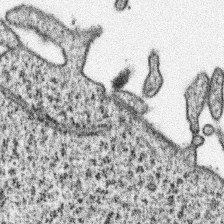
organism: Human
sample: HeLa cells